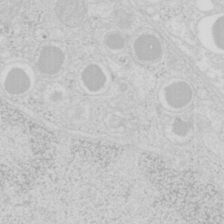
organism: Mouse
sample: Pancreas